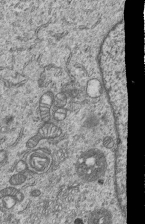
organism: Human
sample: MDA-MB-231 cells